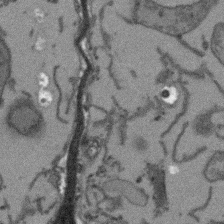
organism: Arabidopsis thaliana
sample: Root tip